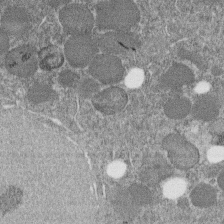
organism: C. elegans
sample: C. elegans embryo early stage